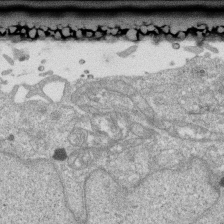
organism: Human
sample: HeLa cell HIV synapse